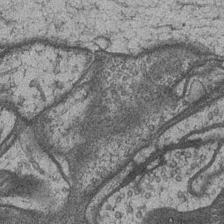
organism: Drosophila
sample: Optic medulla